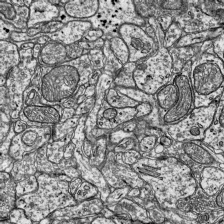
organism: Mouse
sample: Visual Cortex